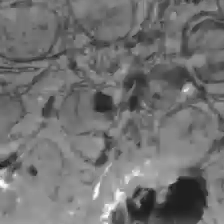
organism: C57BL Mouse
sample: Liver